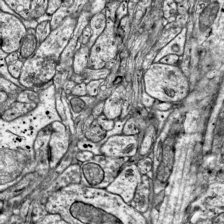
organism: Mouse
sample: Visual Cortex